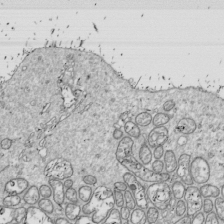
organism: Drosophila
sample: Cell division; meiosis; drosophila spermatocytes